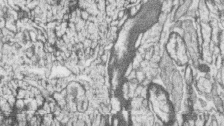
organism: Zebrafish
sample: synaptic ribbons in rod cells and cone cells